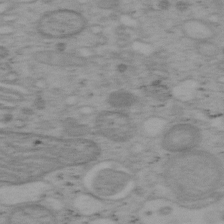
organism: Mouse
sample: OT-I killer T cells with ID8 ovarian cancer cells